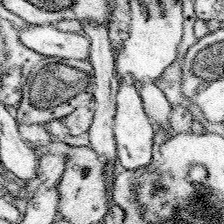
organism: Mouse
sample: Somatosensory cortex neuropil